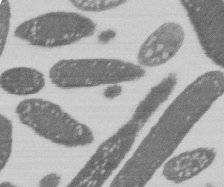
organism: E. coli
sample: Bacterial nucleoid